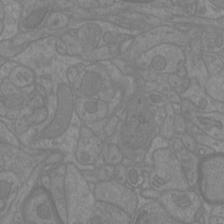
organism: Mouse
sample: Cortical neurons